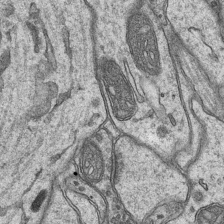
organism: Mouse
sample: CA1 Hippocampus